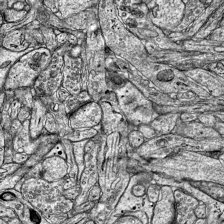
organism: Mouse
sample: Visual Cortex